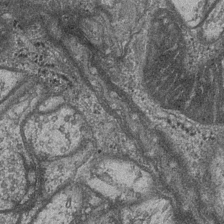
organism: Drosophila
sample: Optic medulla